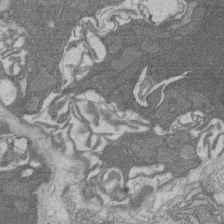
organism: Rat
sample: Salivary granule